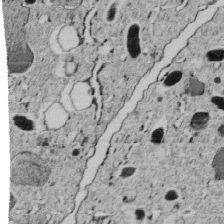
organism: C. elegans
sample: C. elegans embryo early stage